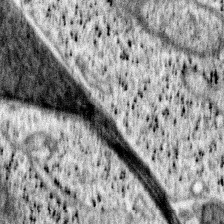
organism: Human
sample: HeLa cells